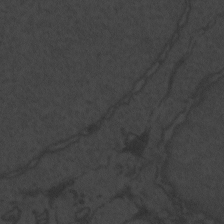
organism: Zebrafish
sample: Macrophage infected with Toxoplasma gondii